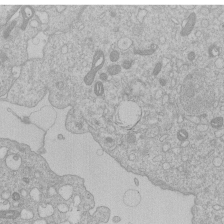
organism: Human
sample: Macrophage cells